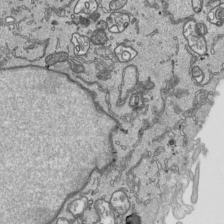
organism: Human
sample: Mitochondria in HCT116 cells